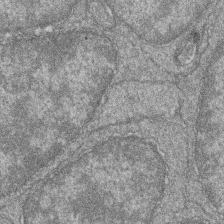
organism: Zebrafish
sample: Cilia; retinal pigment epithelium